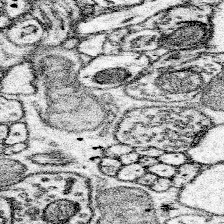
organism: Mouse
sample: Somatosensory cortex neuropil